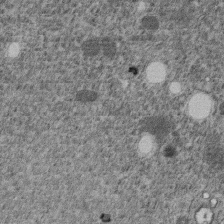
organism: C. elegans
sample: C. elegans embryo early stage